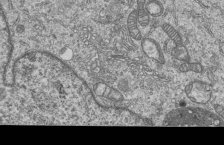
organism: Human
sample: MDA-MB-231 cells